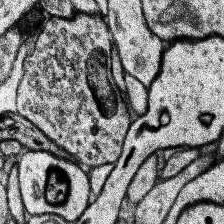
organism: Human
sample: Temporal Lobe